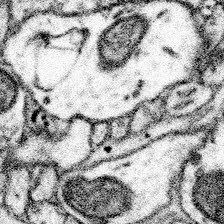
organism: Mouse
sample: Somatosensory cortex neuropil